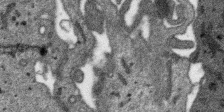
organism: Human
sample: Lung epithelial cells infected with SARS-CoV-2